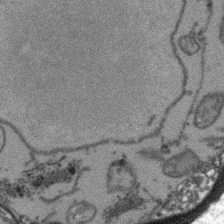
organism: Arabidopsis thaliana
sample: Root tip